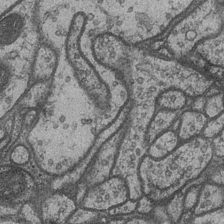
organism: Drosophila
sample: Optic medulla